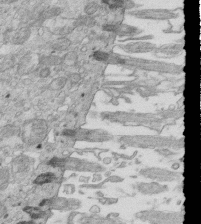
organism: Mouse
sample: Multiciliated cells